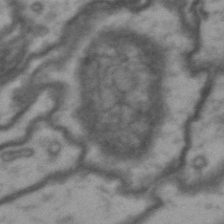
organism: Drosophila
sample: Brain